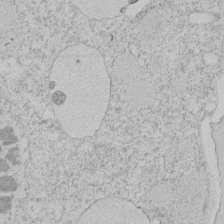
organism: Tetrahymena